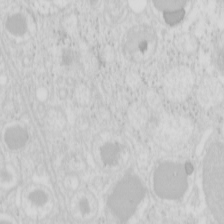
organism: Mouse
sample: Pancreas